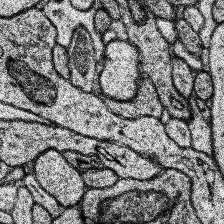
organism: Human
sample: Temporal Lobe